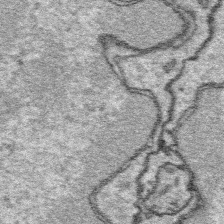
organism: Platynereis dumerilii